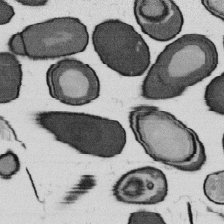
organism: B. subtilis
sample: Bacterial spore